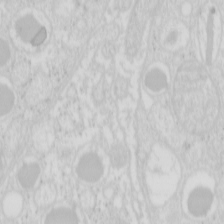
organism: Mouse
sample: Pancreas